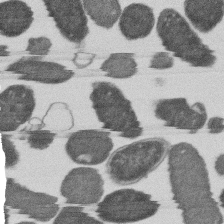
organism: E. coli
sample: Bacterial nucleoid